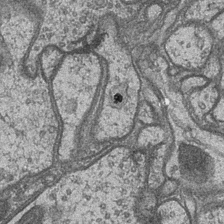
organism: Drosophila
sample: Optic medulla